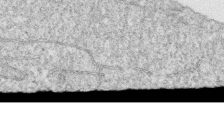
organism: Human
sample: HeLa cell HIV synapse